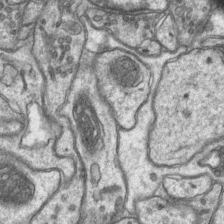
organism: Mouse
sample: CA1 Hippocampus